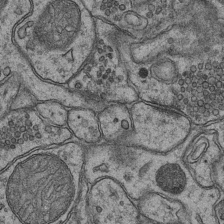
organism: Mouse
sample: CA1 Hippocampus